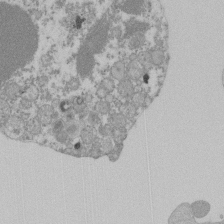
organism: Mouse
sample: Activated Pmel transgenic CD8+ T Cells